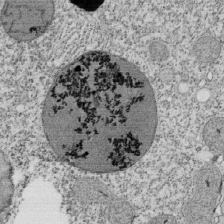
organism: Tetrahymena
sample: Cilia in tetrahymena